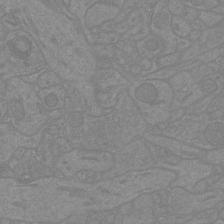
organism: Mouse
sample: Cortical neurons